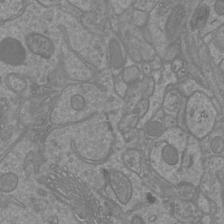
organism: Mouse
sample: Cortical neurons